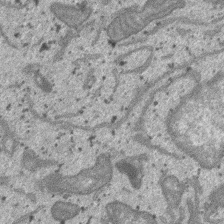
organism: Human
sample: Lung epithelial cells infected with SARS-CoV-2